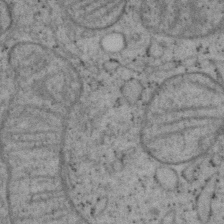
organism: Human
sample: HeLa cells